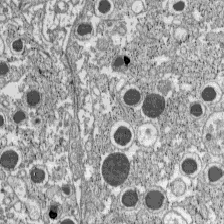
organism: C57BL Mouse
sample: Pancreatic islet